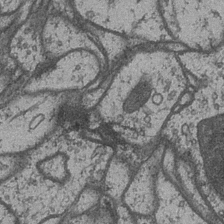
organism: Drosophila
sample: Optic medulla